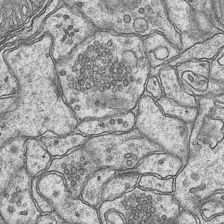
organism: Mouse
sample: CA1 Hippocampus